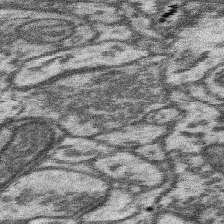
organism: Mouse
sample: Somatosensory cortex neuropil